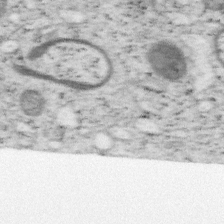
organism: Mouse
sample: OT-I killer T cells with ID8 ovarian cancer cells